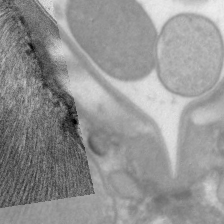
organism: C. elegans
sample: Pharynx